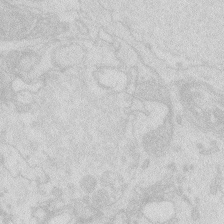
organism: Zebrafish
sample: Macrophage